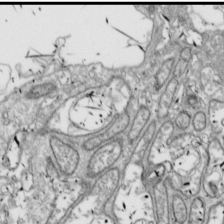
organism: Drosophila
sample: Cell division; meiosis; drosophila spermatocytes